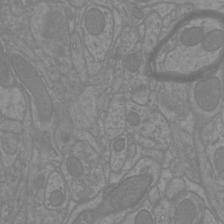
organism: Mouse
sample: Cortical neurons